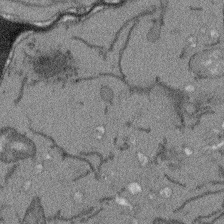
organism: Arabidopsis thaliana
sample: Root tip